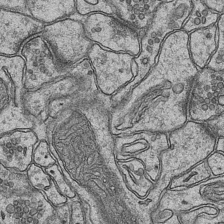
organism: Mouse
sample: CA1 Hippocampus